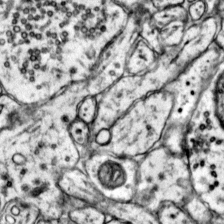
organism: Mouse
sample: Primary visual cortex